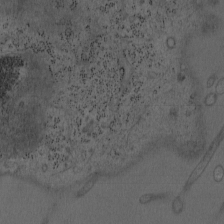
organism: Mouse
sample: OT-I killer T cells with ID8 ovarian cancer cells